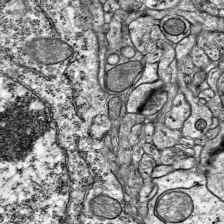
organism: Mouse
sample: Visual Cortex